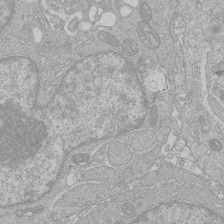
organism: Human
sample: Macrophage cells